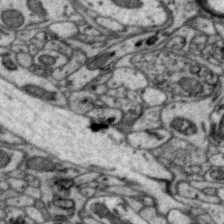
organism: Zebra finch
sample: Brain